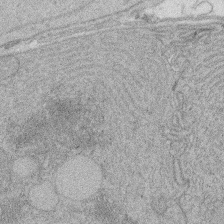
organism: Rat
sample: Salivary granule